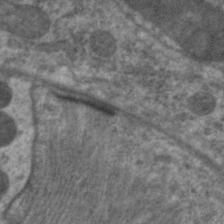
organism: C. elegans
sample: Pharynx